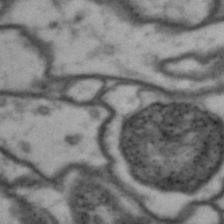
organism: Drosophila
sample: Brain